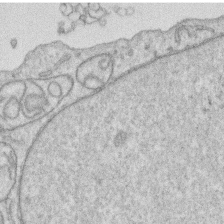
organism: Human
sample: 1205lu cells